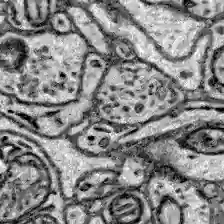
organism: Zebrafish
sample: Brain